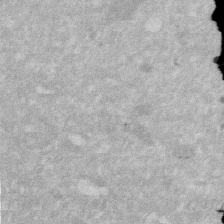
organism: Human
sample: HIV infected U937 cells